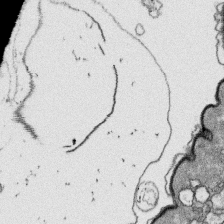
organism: Platynereis dumerilii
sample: Parapodia